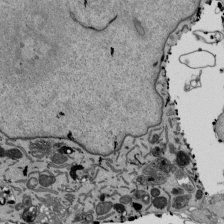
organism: Mouse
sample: ED-1 cell nuclei; centrioles